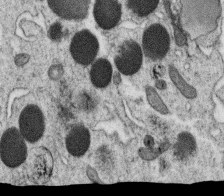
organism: C. elegans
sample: C. elegans oocyte; sperm cells